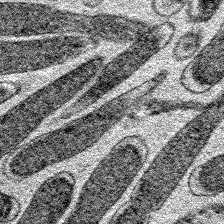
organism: E. coli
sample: E. Coli Bacteria